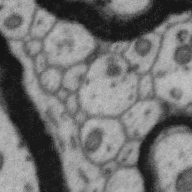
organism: Zebra finch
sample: Brain